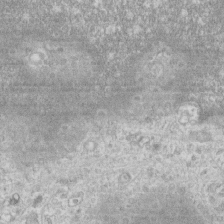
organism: Human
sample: CRL-1474